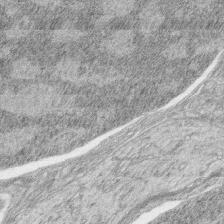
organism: Zebrafish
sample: synaptic ribbons in rod cells and cone cells